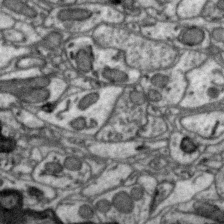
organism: Zebra finch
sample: Brain